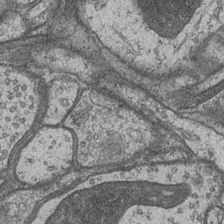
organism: Drosophila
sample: Optic medulla